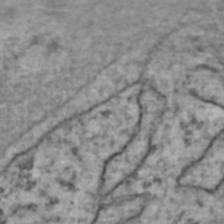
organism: Human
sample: Blood